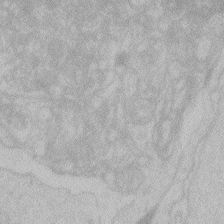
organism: Zebrafish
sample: Macrophage infected with Toxoplasma gondii